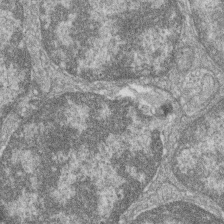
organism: Zebrafish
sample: Cilia; retinal pigment epithelium